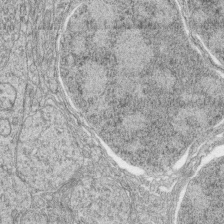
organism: Zebrafish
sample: synaptic ribbons in rod cells and cone cells